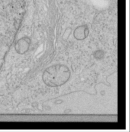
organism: Human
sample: Mitochondria in HCT116 cells